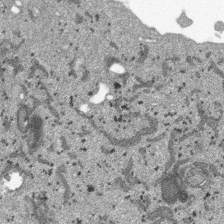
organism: Human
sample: Lung epithelial cells infected with SARS-CoV-2